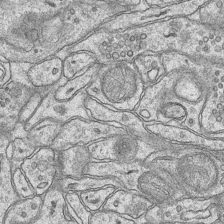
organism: Mouse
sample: CA1 Hippocampus